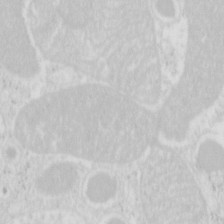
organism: Mouse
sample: Pancreas